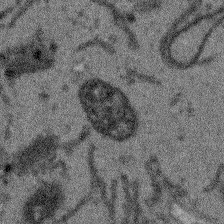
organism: Arabidopsis thaliana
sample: Root tip